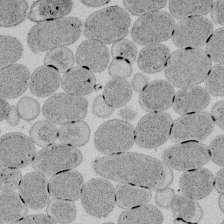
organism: E. coli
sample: Bacterial nucleoid